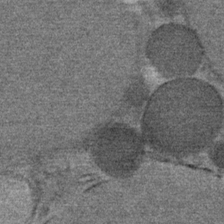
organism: Mouse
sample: Mouse Salivary gland